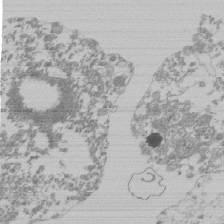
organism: Mouse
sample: Activated Pmel transgenic CD8+ T Cells